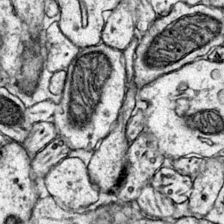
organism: Mouse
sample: Primary visual cortex